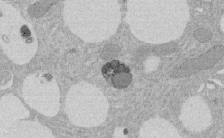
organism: Rat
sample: Salivary granule